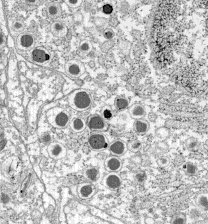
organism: C57BL Mouse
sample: Pancreatic islet